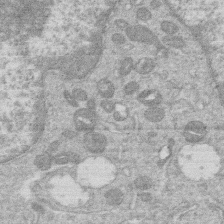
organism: Human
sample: Macrophage cells